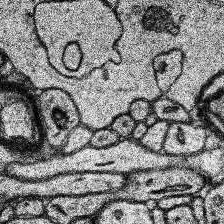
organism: Human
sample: Temporal Lobe